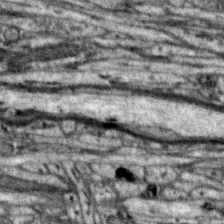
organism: Zebra finch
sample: Brain